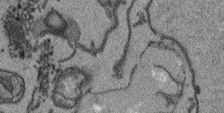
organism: Arabidopsis thaliana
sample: Root tip